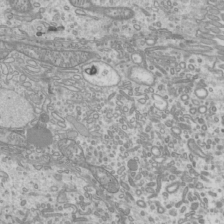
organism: Mouse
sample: Cilia; mouse epididymis